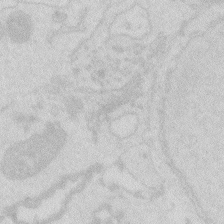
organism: Zebrafish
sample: Macrophage